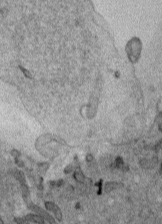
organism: Human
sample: Mitochondria in HCT116 cells